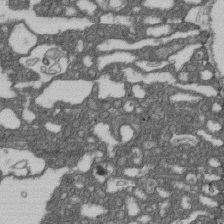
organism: Drosophila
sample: Nephrocyte